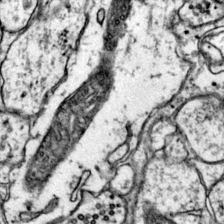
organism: Mouse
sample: Primary visual cortex